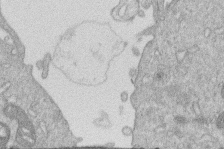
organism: Human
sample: Macrophage cells